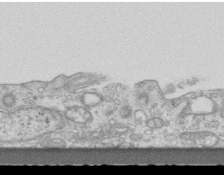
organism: Mouse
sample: Centriole in ependymal cells